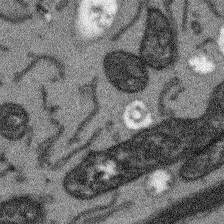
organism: Arabidopsis thaliana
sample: Root tip